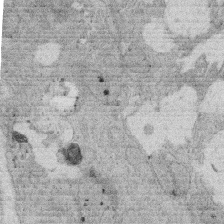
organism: Rat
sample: Salivary granule